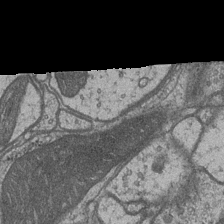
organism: Drosophila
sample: Optic medulla